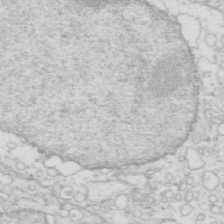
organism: Mouse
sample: Multiciliated cells